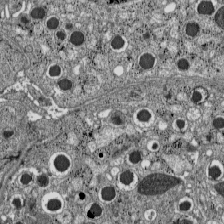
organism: C57BL Mouse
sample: Pancreatic islet